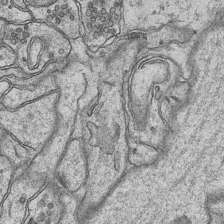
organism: Mouse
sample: CA1 Hippocampus